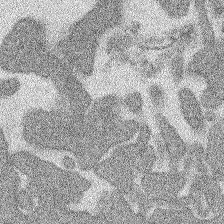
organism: Human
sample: HeLa cells